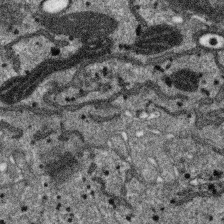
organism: Human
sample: Lung epithelial cells infected with SARS-CoV-2